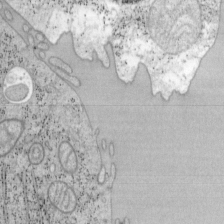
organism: Mouse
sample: OT-I killer T cells with ID8 ovarian cancer cells